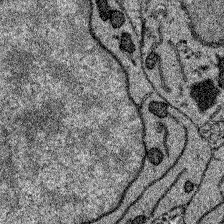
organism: Zebrafish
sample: Larval olfactory bulb